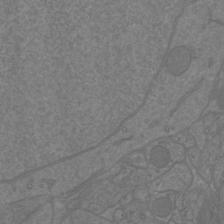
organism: Mouse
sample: Cortical neurons